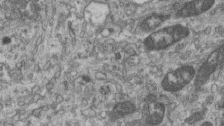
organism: Mouse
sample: Centriole in ependymal cells